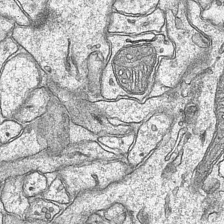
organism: Mouse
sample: CA1 Hippocampus